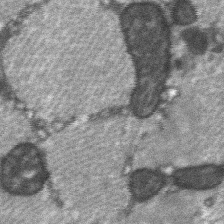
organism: C57BL Mouse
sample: Soleus